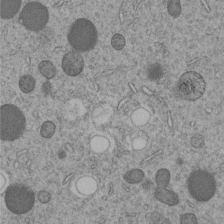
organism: C. elegans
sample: C. elegans embryo early stage